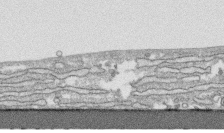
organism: Human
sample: CRL-1474